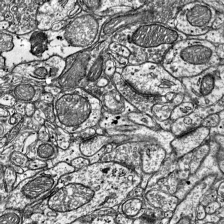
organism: Mouse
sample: Visual Cortex